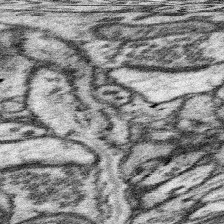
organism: Mouse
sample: Somatosensory cortex neuropil